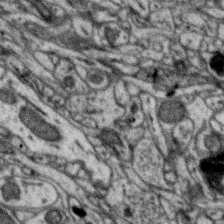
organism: Zebra finch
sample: Brain